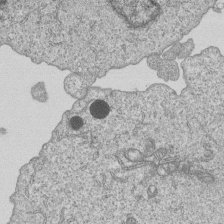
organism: Human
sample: MDA-MB-231 cells